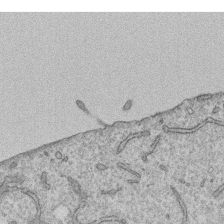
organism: Human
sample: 1205lu cells